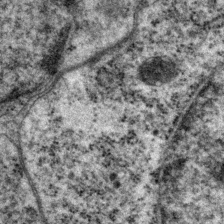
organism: P. pacificus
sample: Pharynx